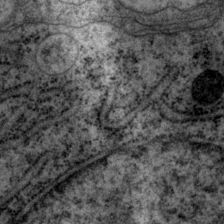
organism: P. pacificus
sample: Pharynx